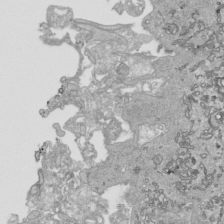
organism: Human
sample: Mitochondria in HCT116 cells